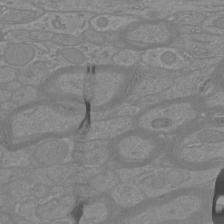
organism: Mouse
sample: Cortical neurons